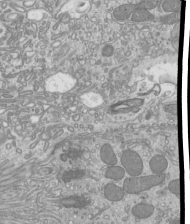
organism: Mouse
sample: Cilia; mouse epididymis